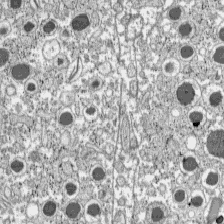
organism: C57BL Mouse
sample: Pancreatic islet